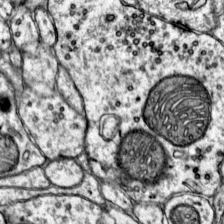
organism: Mouse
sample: Primary visual cortex